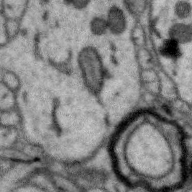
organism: Zebra finch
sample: Brain